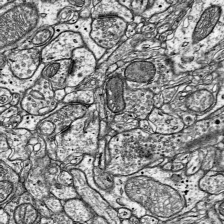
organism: Mouse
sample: Visual Cortex